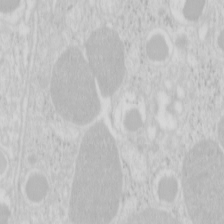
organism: Mouse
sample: Pancreas